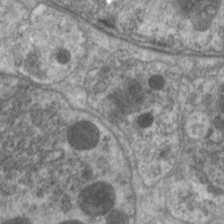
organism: C. elegans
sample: Pharynx